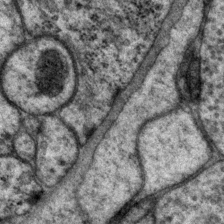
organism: P. pacificus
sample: Pharynx